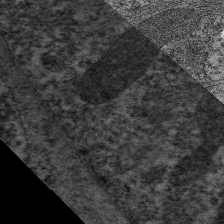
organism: C. elegans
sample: Pharynx